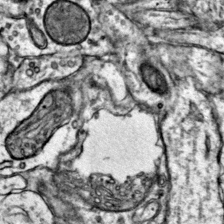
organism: Mouse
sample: Primary visual cortex